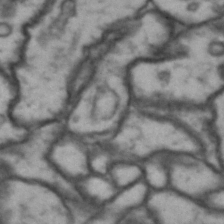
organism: Drosophila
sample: Brain